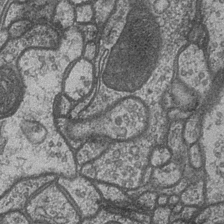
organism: Drosophila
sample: Optic medulla